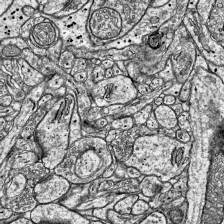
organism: Mouse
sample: Visual Cortex